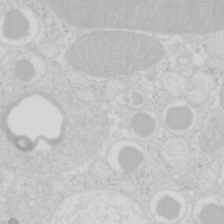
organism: Mouse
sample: Pancreas